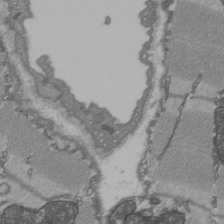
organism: C57BL Mouse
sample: Heart